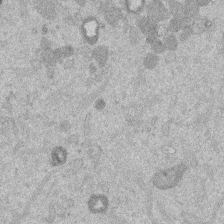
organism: Mouse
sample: Dividing mouse embryo 1 cell stage